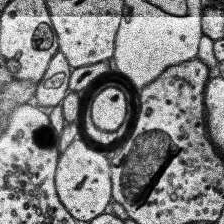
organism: Human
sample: Temporal Lobe